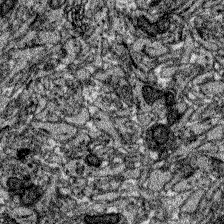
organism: Zebrafish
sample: Larval olfactory bulb